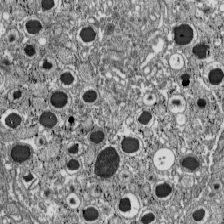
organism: C57BL Mouse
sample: Pancreatic islet